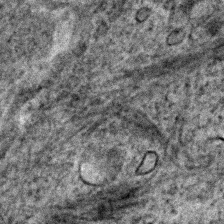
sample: Trachea